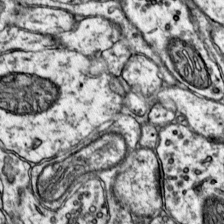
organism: Mouse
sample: Primary visual cortex